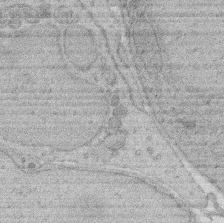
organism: Rat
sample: Salivary granule